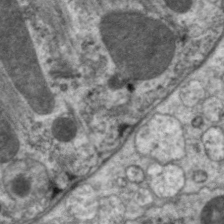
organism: C. elegans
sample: Pharynx